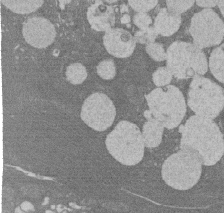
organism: Rat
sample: Salivary granule